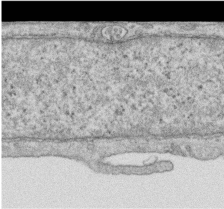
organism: Human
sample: Centriole in RPE cells